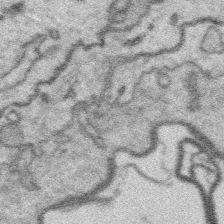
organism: Platynereis dumerilii